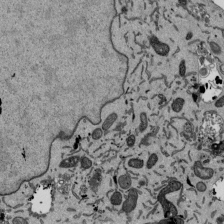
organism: Mouse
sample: ED-1 cell nuclei; centrioles